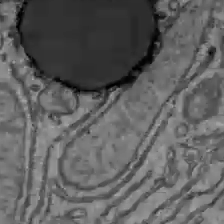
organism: C57BL Mouse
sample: Liver